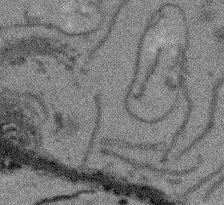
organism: Arabidopsis thaliana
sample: Root tip